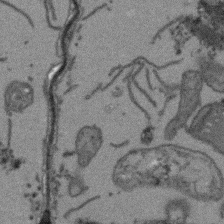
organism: Arabidopsis thaliana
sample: Root tip